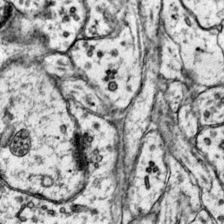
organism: Mouse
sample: Primary visual cortex